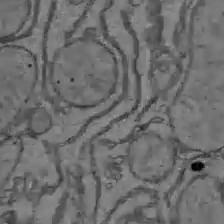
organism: C57BL Mouse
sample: Liver